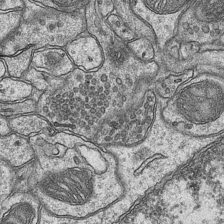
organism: Mouse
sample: CA1 Hippocampus